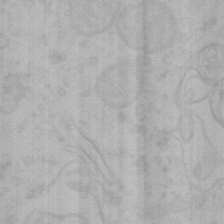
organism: Mouse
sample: Choroid plexus